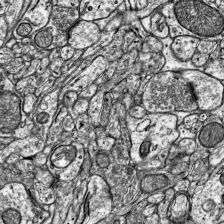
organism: Mouse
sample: Visual Cortex